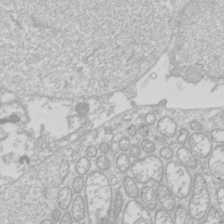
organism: Drosophila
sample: Cell division; meiosis; drosophila spermatocytes